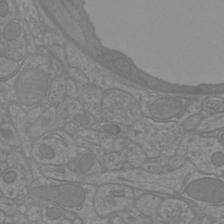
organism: Mouse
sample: Cortical neurons